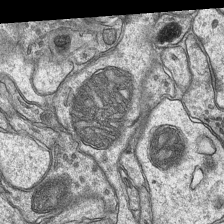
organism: Mouse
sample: CA1 Hippocampus